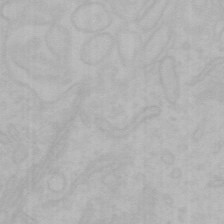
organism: Mouse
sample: Choroid plexus